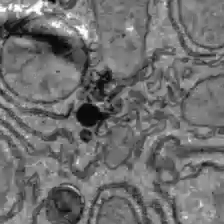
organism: C57BL Mouse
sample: Liver